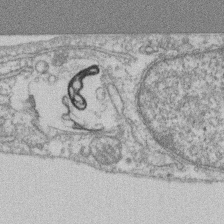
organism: Mouse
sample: T cell stromal cell synapse